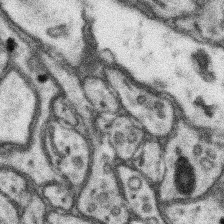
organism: Mouse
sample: Somatosensory cortex neuropil